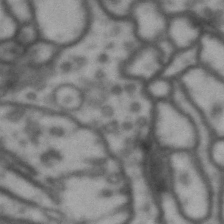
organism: Drosophila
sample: Brain